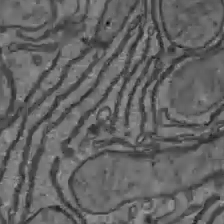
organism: C57BL Mouse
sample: Liver